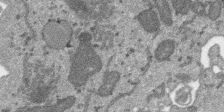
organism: Human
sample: Lung epithelial cells infected with SARS-CoV-2